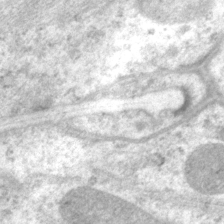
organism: P. pacificus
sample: Pharynx